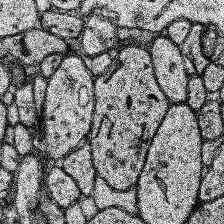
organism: Human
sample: Temporal Lobe